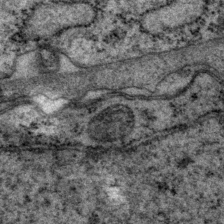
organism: P. pacificus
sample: Pharynx